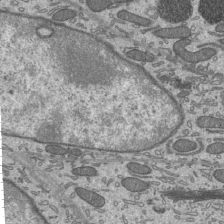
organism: Mouse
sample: Mouse epididymis efferent ductule cilia